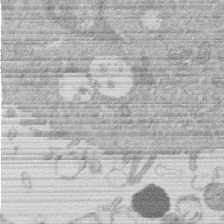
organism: Human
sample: Macrophage cells